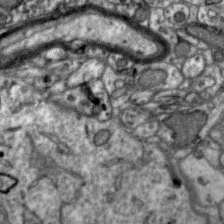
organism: Zebra finch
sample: Brain